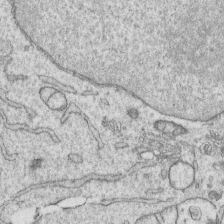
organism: Human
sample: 1205lu cells